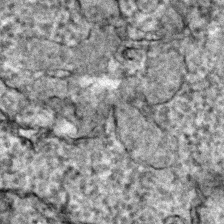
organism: Zebrafish